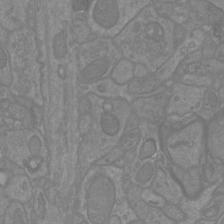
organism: Mouse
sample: Cortical neurons